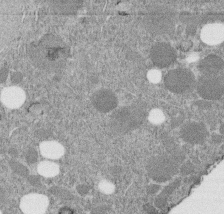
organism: C. elegans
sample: C. elegans embryo early stage